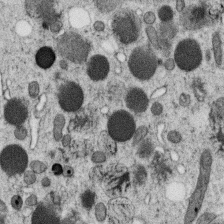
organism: C. elegans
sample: C. elegans oocyte; sperm cells